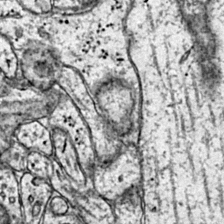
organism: Mouse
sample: Primary visual cortex